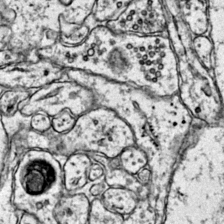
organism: Mouse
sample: Primary visual cortex